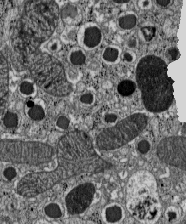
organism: C57BL Mouse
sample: Pancreatic islet